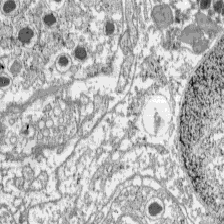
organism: C57BL Mouse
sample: Pancreatic islet